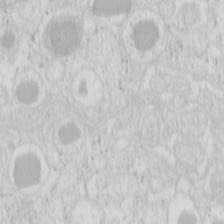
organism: Mouse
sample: Pancreas